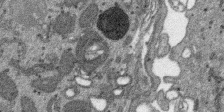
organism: Human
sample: Lung epithelial cells infected with SARS-CoV-2